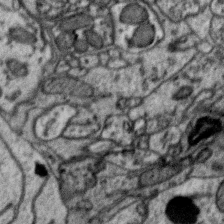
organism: Zebra finch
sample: Brain